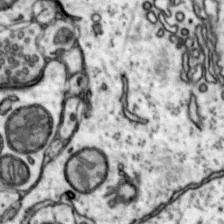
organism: Mouse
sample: Nucleus accumbens